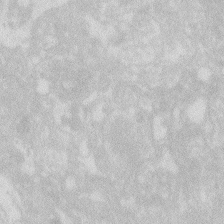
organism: Zebrafish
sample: Macrophage